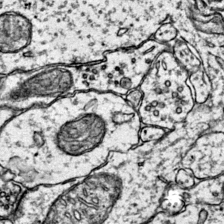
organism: Mouse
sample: Primary visual cortex